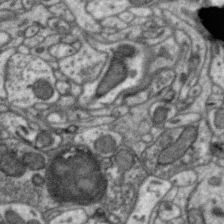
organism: Zebra finch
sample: Brain